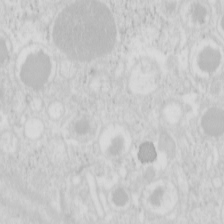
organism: Mouse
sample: Pancreas